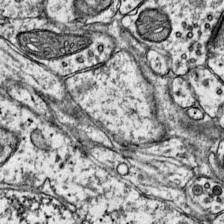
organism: Mouse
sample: Primary visual cortex